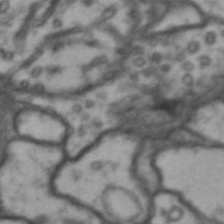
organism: Drosophila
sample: Brain